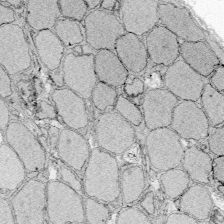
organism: Zebrafish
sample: Whole-Brain